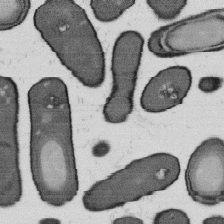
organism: B. subtilis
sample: Bacterial spore